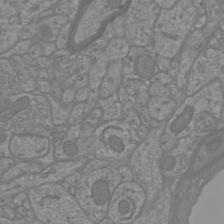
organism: Mouse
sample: Cortical neurons